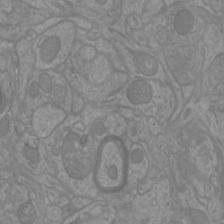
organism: Mouse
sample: Cortical neurons